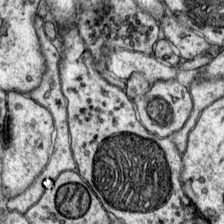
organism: Mouse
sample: Primary visual cortex